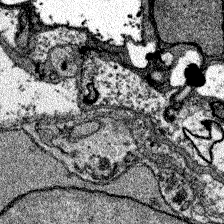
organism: Zebrafish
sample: Larval olfactory bulb